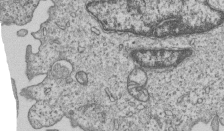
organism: Human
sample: MDA-MB-231 cells